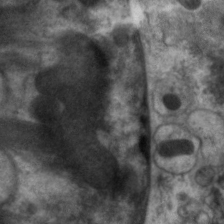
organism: C. elegans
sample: Pharynx